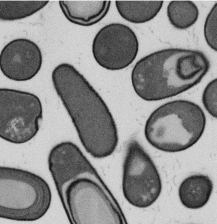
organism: B. subtilis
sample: Bacterial spore